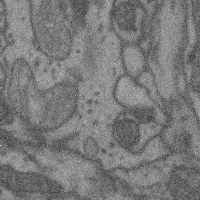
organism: Mouse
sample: Cerebral cortex